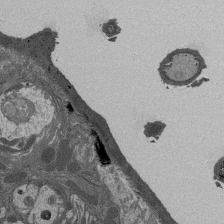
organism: Drosophila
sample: Antenna